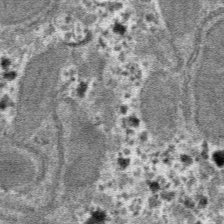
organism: Mouse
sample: Mouse hepatocytes